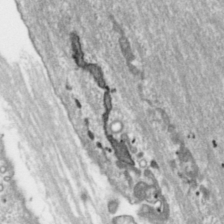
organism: Toxoplasma gondii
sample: Parasites in a vacuole inside a host cell